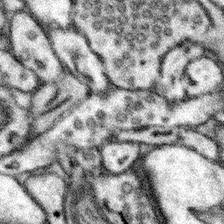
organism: Mouse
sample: Somatosensory cortex neuropil